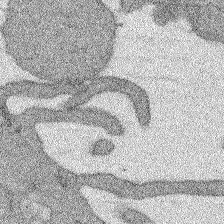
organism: Human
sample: HeLa cells